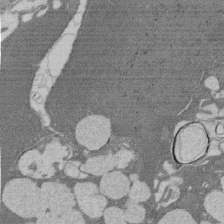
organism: Rat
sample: Salivary granule